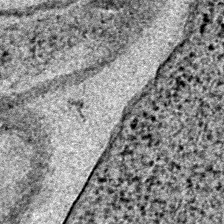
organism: E. coli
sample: E. Coli Bacteria